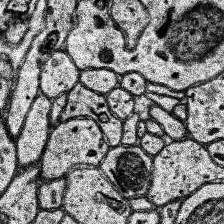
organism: Human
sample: Temporal Lobe